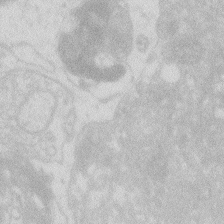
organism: Zebrafish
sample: Macrophage